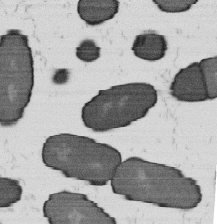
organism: B. subtilis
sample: Bacterial spore